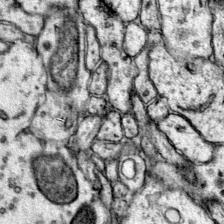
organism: Mouse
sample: Primary visual cortex